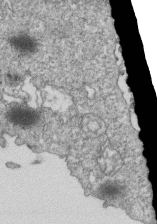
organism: Human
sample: HeLa cell HIV synapse